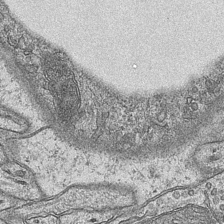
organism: Mouse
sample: CA1 Hippocampus